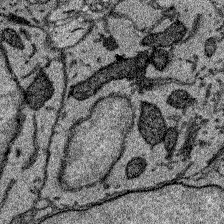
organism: Zebrafish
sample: Larval olfactory bulb